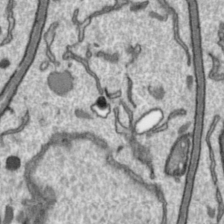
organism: Toxoplasma gondii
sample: Parasites in a vacuole inside a host cell